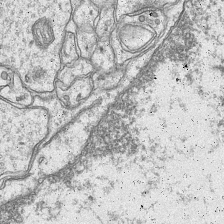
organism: Mouse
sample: CA1 Hippocampus